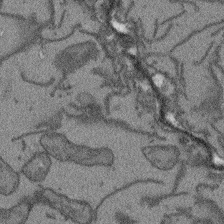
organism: Arabidopsis thaliana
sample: Root tip